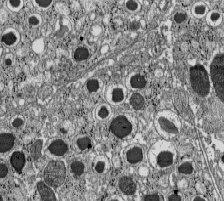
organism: C57BL Mouse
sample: Pancreatic islet